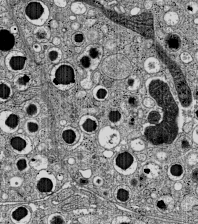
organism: C57BL Mouse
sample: Pancreatic islet